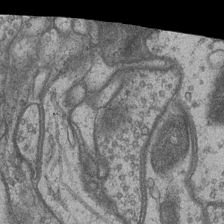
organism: Drosophila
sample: Optic medulla